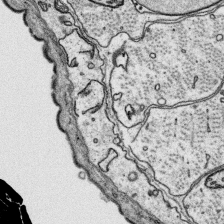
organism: Platynereis dumerilii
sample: Parapodia